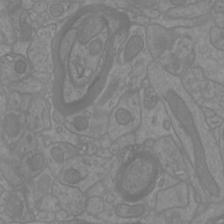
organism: Mouse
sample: Cortical neurons